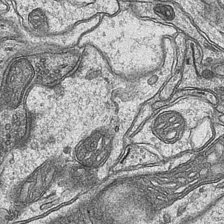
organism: Mouse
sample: CA1 Hippocampus